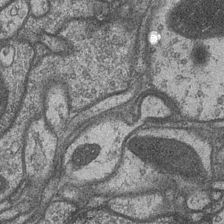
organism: Drosophila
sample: Optic medulla